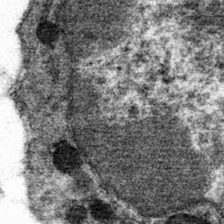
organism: Mouse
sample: Mouse hepatocytes